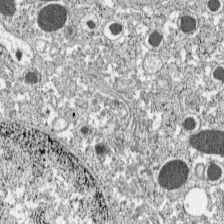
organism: C57BL Mouse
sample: Pancreatic islet